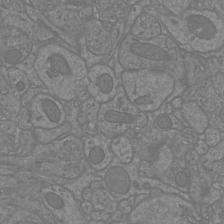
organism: Mouse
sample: Cortical neurons